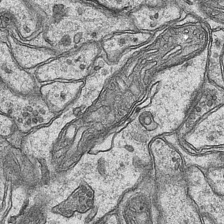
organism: Mouse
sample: CA1 Hippocampus